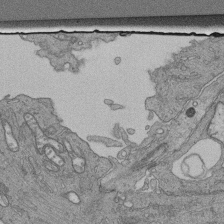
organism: Human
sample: Retinal organoid Rod and Cone cells